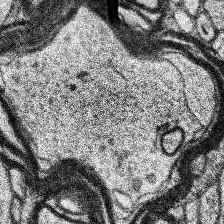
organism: Human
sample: Temporal Lobe